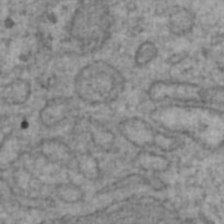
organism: Human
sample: Blood